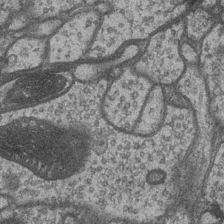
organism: Drosophila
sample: Optic medulla